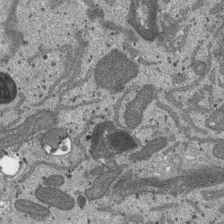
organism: Human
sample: Lung epithelial cells infected with SARS-CoV-2